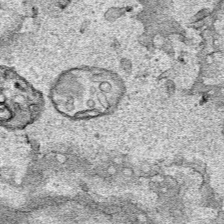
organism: Human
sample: Mitochondria in HCT116 cells